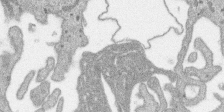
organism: Human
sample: Lung epithelial cells infected with SARS-CoV-2